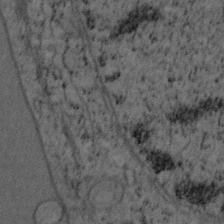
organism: Human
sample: HeLa cells